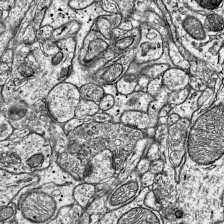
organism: Mouse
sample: Visual Cortex